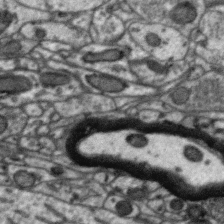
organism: Zebra finch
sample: Brain